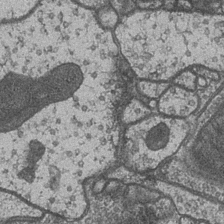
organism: Drosophila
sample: Optic medulla